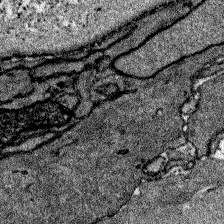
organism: Zebrafish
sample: Larval olfactory bulb